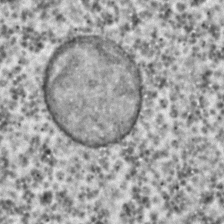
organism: C. elegans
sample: C. elegans embryo